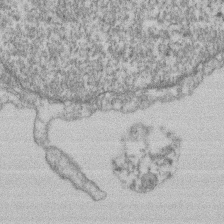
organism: Mouse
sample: T cell stromal cell synapse